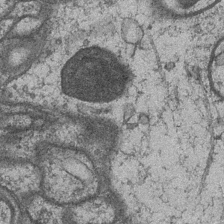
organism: Drosophila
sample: Optic medulla